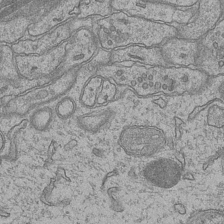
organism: Mouse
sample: CA1 Hippocampus